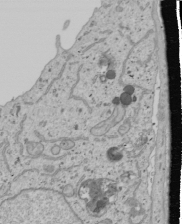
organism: Human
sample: Mitochondria in U2OS cells